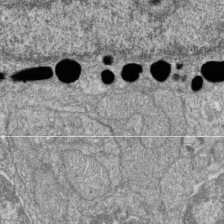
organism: Zebrafish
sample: Cilia; retinal pigment epithelium